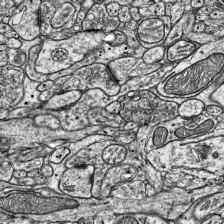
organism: Mouse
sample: Visual Cortex